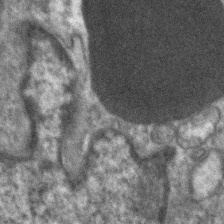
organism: Human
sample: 1205lu cells